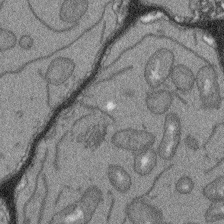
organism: Arabidopsis thaliana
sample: Root tip